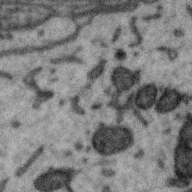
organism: Zebra finch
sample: Brain